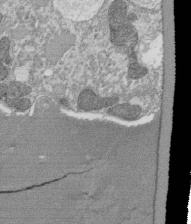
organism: Tetrahymena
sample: Cilia in tetrahymena